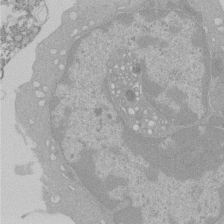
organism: Mouse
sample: Activated Pmel transgenic CD8+ T Cells